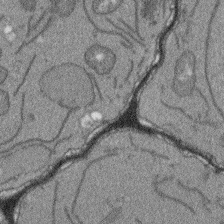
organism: Arabidopsis thaliana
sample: Root tip